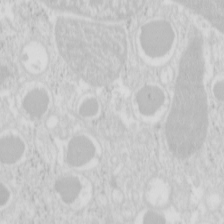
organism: Mouse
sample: Pancreas